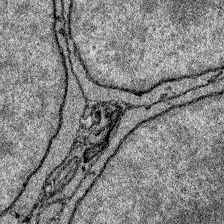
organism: Zebrafish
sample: Larval olfactory bulb